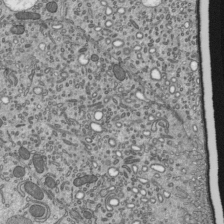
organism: Mouse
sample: Mouse epididymis efferent ductule cilia